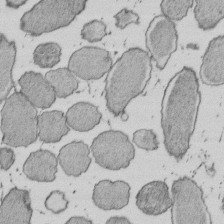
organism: E. coli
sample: Bacterial nucleoid